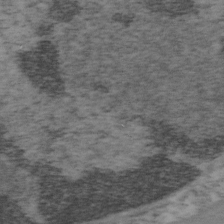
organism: Mouse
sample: OT-I killer T cells with ID8 ovarian cancer cells